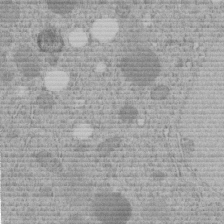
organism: C. elegans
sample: C. elegans embryo early stage